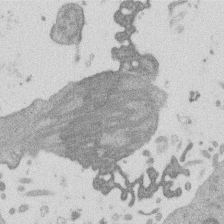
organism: Mouse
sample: Dividing mouse embryo 1 cell stage